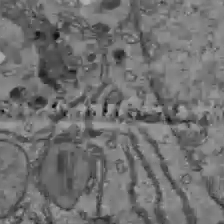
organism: C57BL Mouse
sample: Liver